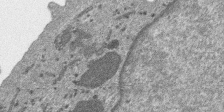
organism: Human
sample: Lung epithelial cells infected with SARS-CoV-2